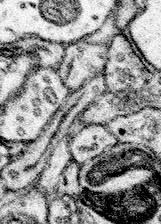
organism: Mouse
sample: Somatosensory cortex neuropil